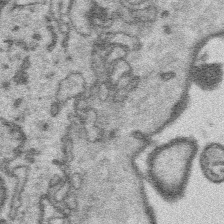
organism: Platynereis dumerilii